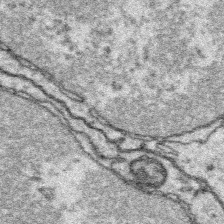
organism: Platynereis dumerilii